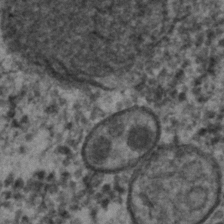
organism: C. elegans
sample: C. elegans embryo